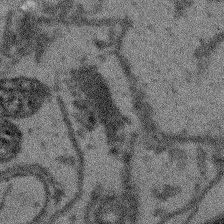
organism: Arabidopsis thaliana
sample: Root tip